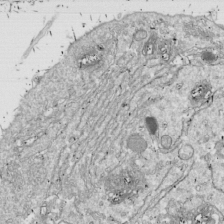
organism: Drosophila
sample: Cell division; meiosis; drosophila spermatocytes